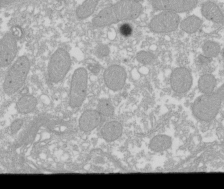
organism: Xenopus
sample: Cilia; centrioles in frog embryo cells